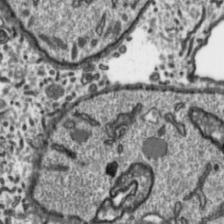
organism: Toxoplasma gondii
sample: Parasites in a vacuole inside a host cell